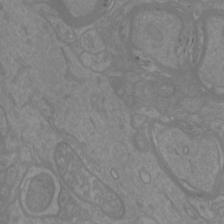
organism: Mouse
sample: Cortical neurons